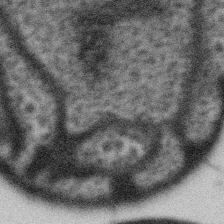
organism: Gemmata obscuriglobus